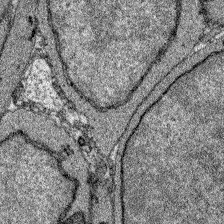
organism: Zebrafish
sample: Larval olfactory bulb